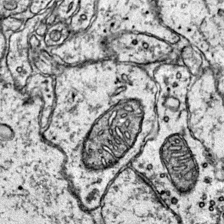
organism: Mouse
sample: Primary visual cortex